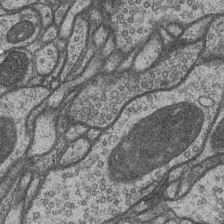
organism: Drosophila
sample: Optic medulla